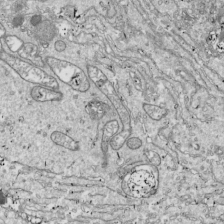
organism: Drosophila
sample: Cell division; meiosis; drosophila spermatocytes